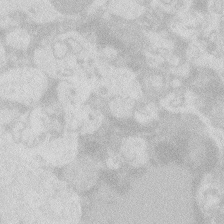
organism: Zebrafish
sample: Macrophage